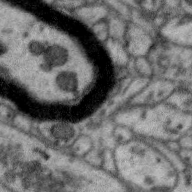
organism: Zebra finch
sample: Brain